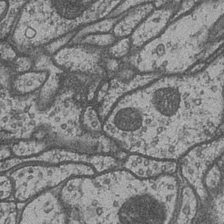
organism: Drosophila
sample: Optic medulla